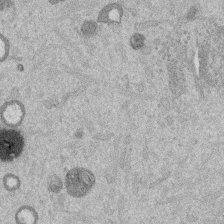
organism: Mouse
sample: Dividing mouse embryo 1 cell stage